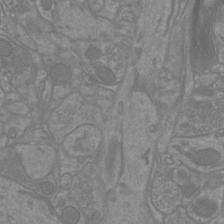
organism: Mouse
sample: Cortical neurons